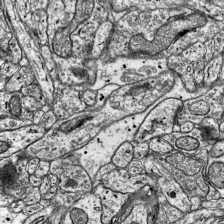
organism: Mouse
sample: Visual Cortex